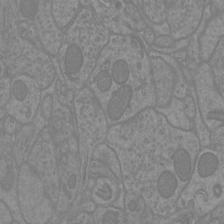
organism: Mouse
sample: Cortical neurons